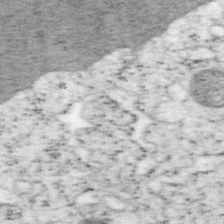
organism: Mouse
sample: OT-I killer T cells with ID8 ovarian cancer cells